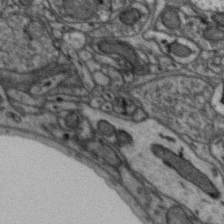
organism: Zebra finch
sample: Brain